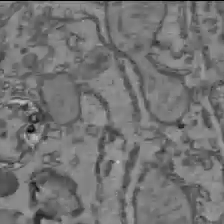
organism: C57BL Mouse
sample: Liver